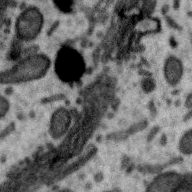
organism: Zebra finch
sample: Brain